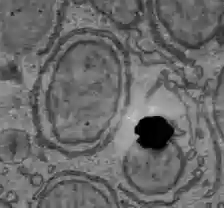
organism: C57BL Mouse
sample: Liver